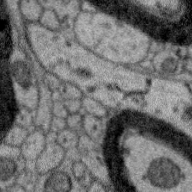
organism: Zebra finch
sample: Brain